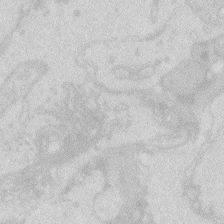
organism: Zebrafish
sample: Macrophage